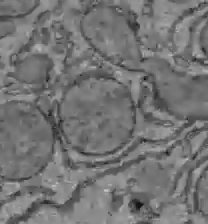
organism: C57BL Mouse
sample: Liver